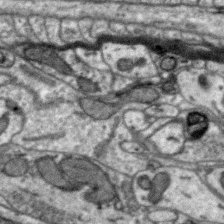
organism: Zebra finch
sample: Brain